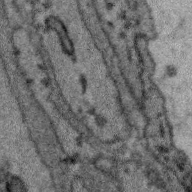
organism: Zebra finch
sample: Brain